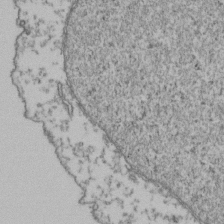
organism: Human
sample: Activated Jurkat CD4+ T cells